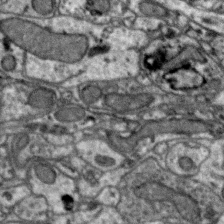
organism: Zebra finch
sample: Brain